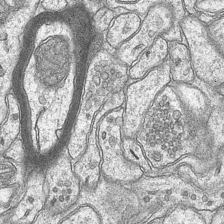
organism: Mouse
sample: CA1 Hippocampus